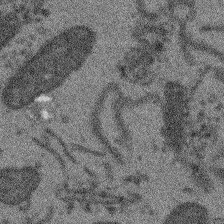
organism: Arabidopsis thaliana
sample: Root tip